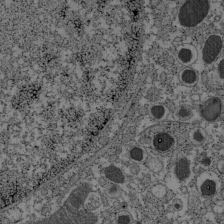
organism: C57BL Mouse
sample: Pancreatic islet